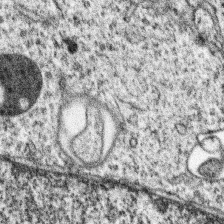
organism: Human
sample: HeLa cells